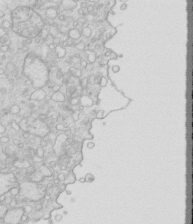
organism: Mouse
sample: Multiciliated cells